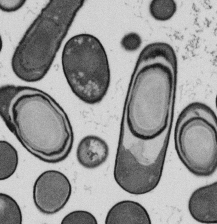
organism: B. subtilis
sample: Bacterial spore